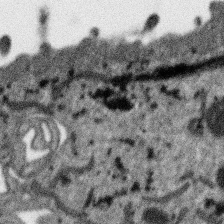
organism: Human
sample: Lung epithelial cells infected with SARS-CoV-2